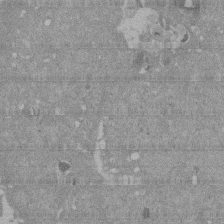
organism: Mouse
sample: ED-1 cell nuclei; centrioles